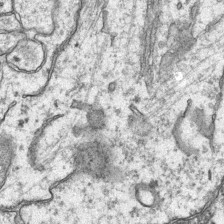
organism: Mouse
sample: CA1 Hippocampus